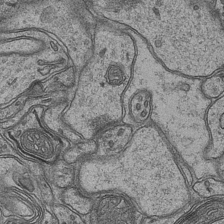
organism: Mouse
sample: CA1 Hippocampus